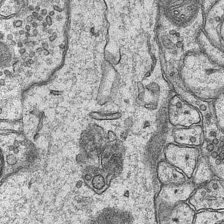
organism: Mouse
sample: CA1 Hippocampus